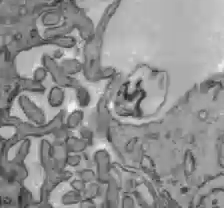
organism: C57BL Mouse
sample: Liver